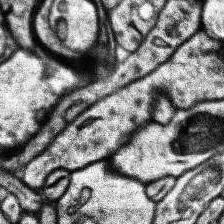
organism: Human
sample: Temporal Lobe